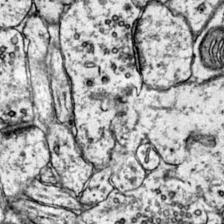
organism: Mouse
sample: Primary visual cortex